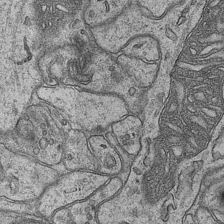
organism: Mouse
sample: CA1 Hippocampus